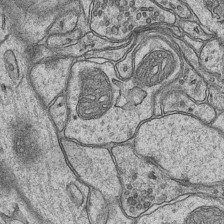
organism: Mouse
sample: CA1 Hippocampus